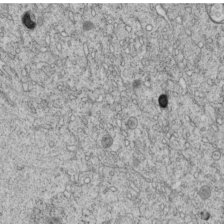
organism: C. elegans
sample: C. elegans embryo early stage